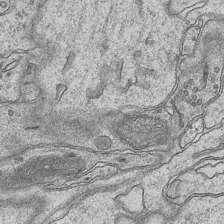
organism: Mouse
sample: CA1 Hippocampus